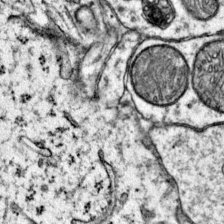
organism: Mouse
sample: Primary visual cortex